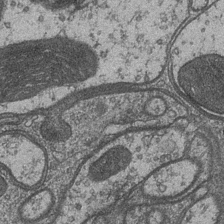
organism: Drosophila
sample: Optic medulla